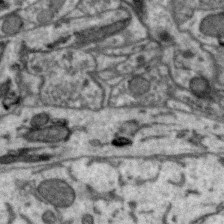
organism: Zebra finch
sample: Brain